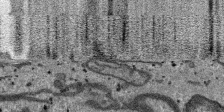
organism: Human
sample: Lung epithelial cells, uninfected (mock) control